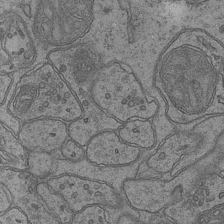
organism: Mouse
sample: CA1 Hippocampus